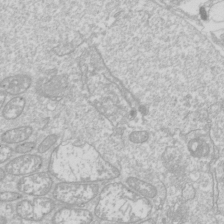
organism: Drosophila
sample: Cell division; meiosis; drosophila spermatocytes